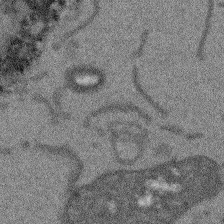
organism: Arabidopsis thaliana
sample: Root tip